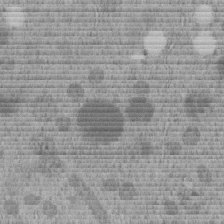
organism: C. elegans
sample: C. elegans embryo early stage